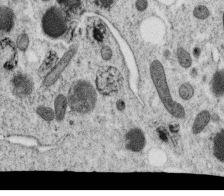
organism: C. elegans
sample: C. elegans oocyte; sperm cells